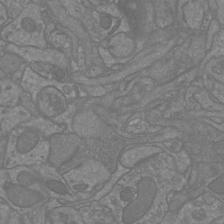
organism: Mouse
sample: Cortical neurons